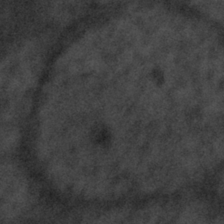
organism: Tuwongella immobilis